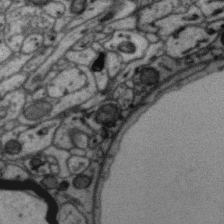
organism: Zebra finch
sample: Brain